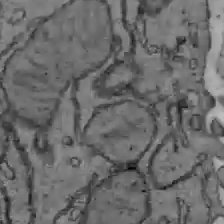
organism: C57BL Mouse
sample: Liver